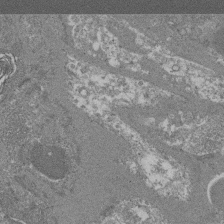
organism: Mouse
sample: Glomerulus